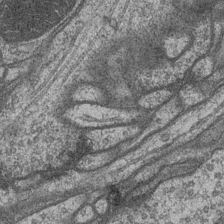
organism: Drosophila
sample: Optic medulla